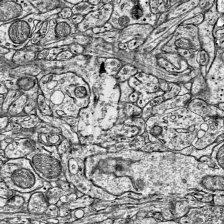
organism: Mouse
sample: Visual Cortex